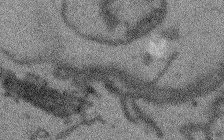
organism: Arabidopsis thaliana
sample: Root tip